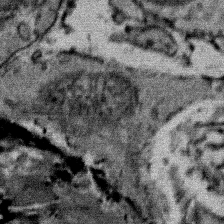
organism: Mouse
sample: Mouse Salivary gland